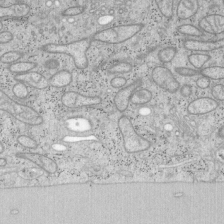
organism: Mouse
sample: OT-I killer T cells with ID8 ovarian cancer cells